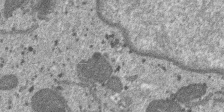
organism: Human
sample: Lung epithelial cells infected with SARS-CoV-2